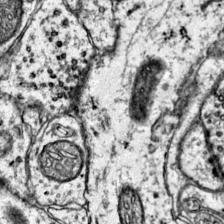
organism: Mouse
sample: Primary visual cortex